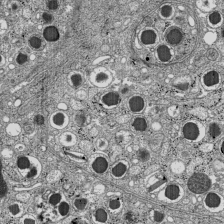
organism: C57BL Mouse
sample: Pancreatic islet